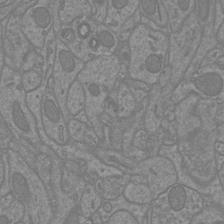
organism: Mouse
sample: Cortical neurons